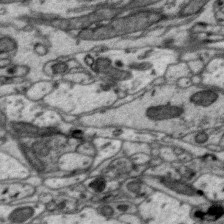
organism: Zebra finch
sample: Brain